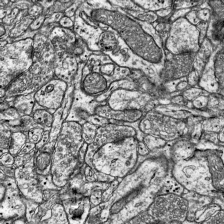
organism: Mouse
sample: Visual Cortex